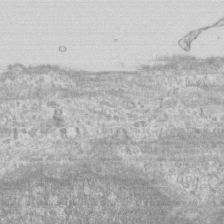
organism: Human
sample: CRL-1474